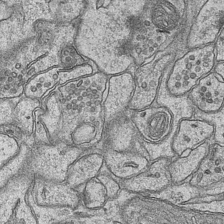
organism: Mouse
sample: CA1 Hippocampus